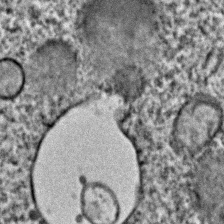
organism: C. elegans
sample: C. elegans embryo